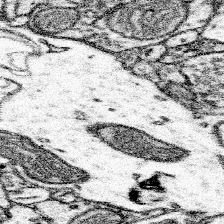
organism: Mouse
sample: Somatosensory cortex neuropil